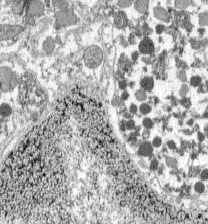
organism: C57BL Mouse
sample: Pancreatic islet